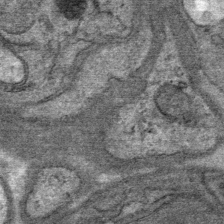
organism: Mouse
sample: Mouse Salivary gland